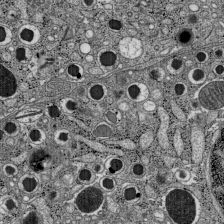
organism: C57BL Mouse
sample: Pancreatic islet